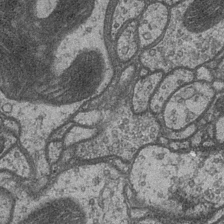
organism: Drosophila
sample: Optic medulla